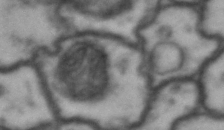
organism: Drosophila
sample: Brain